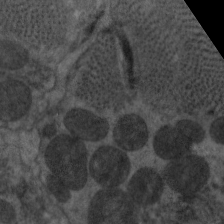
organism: C. elegans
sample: Pharynx